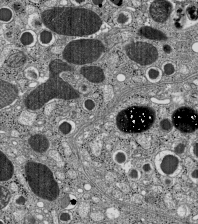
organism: C57BL Mouse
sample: Pancreatic islet